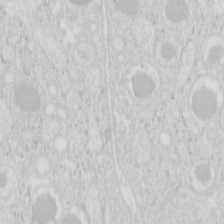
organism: Mouse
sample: Pancreas